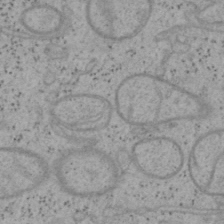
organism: Human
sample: HeLa cells